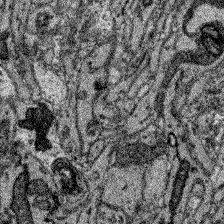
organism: Zebrafish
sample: Larval olfactory bulb